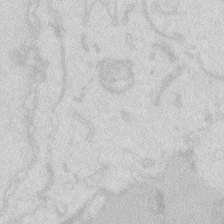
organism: Zebrafish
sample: Macrophage